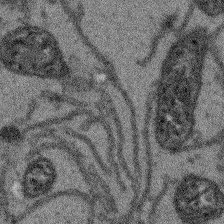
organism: Arabidopsis thaliana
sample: Root tip